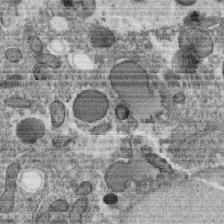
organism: C. elegans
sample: C. elegans oocyte; sperm cells